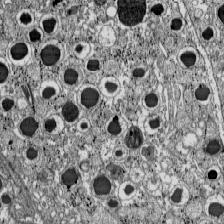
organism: C57BL Mouse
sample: Pancreatic islet